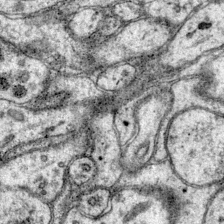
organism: Mouse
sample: Primary visual cortex